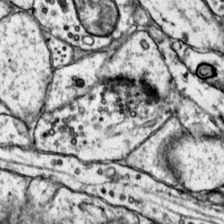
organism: Mouse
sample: Primary visual cortex